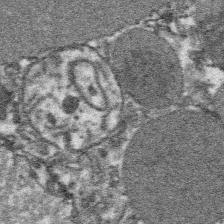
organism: Platynereis dumerilii